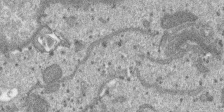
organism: Human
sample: Lung epithelial cells infected with SARS-CoV-2